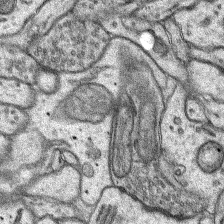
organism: Rat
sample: Hippocampus